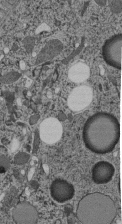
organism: C. elegans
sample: C. elegans pharynx